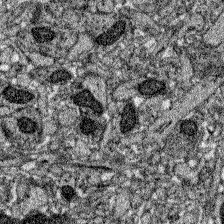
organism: Zebrafish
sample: Larval olfactory bulb